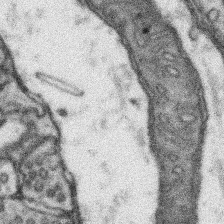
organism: Mouse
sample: Somatosensory cortex neuropil